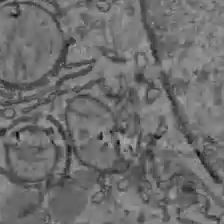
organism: C57BL Mouse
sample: Liver